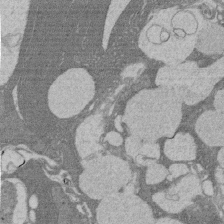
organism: Rat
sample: Salivary granule